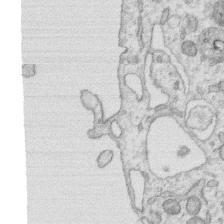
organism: Human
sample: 1205lu cells